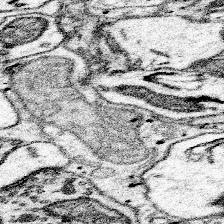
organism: Mouse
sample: Somatosensory cortex neuropil